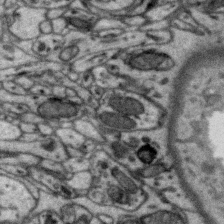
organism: Zebra finch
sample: Brain